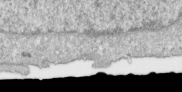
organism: Human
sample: Centriole in RPE cells